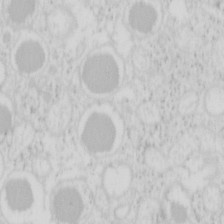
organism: Mouse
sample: Pancreas